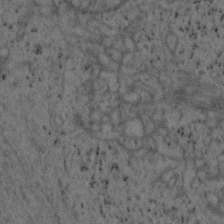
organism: Human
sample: HeLa cells